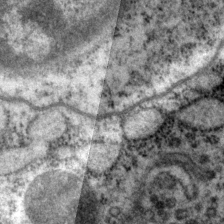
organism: P. pacificus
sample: Pharynx